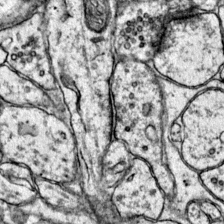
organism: Mouse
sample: Primary visual cortex